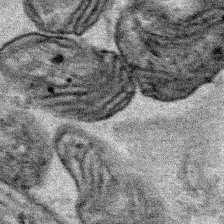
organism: Human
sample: Mitochondria in HCT116 cells